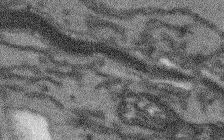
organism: Arabidopsis thaliana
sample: Root tip